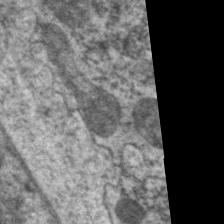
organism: C. elegans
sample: Pharynx